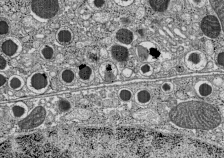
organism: C57BL Mouse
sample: Pancreatic islet